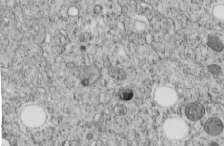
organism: C. elegans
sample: C. elegans embryo early stage